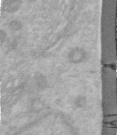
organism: Human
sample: Centriole in RPE cells